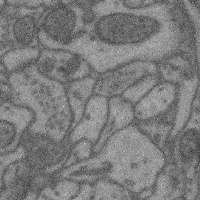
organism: Mouse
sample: Cerebral cortex